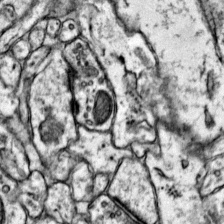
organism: Mouse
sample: Primary visual cortex